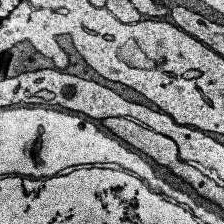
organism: Human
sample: Temporal Lobe